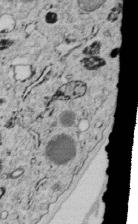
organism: C. elegans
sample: C. elegans embryo early stage